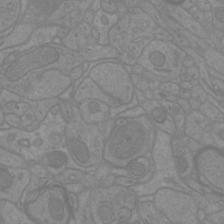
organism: Mouse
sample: Cortical neurons